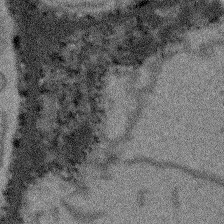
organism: Arabidopsis thaliana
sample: Root tip